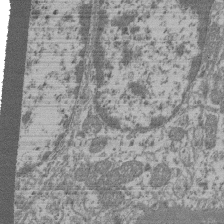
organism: Mouse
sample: Glomerulus